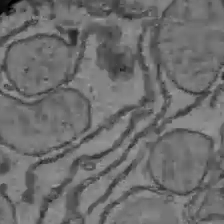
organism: C57BL Mouse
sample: Liver